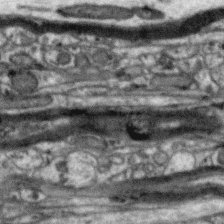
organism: Zebra finch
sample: Brain